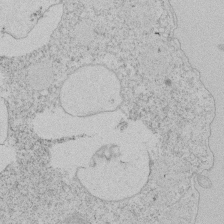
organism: Tetrahymena